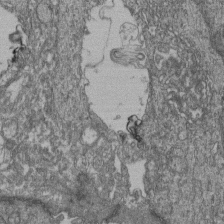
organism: Human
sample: Retinal organoid Rod and Cone cells